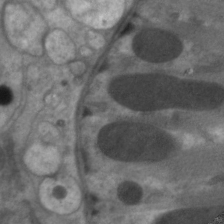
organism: C. elegans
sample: Pharynx